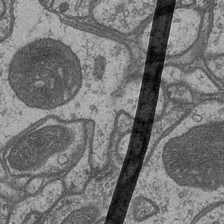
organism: Drosophila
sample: Optic medulla